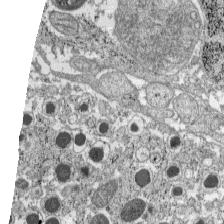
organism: C57BL Mouse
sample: Pancreatic islet